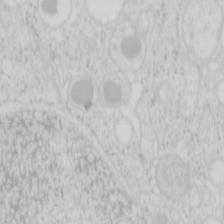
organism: Mouse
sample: Pancreas